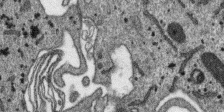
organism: Human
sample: Lung epithelial cells infected with SARS-CoV-2